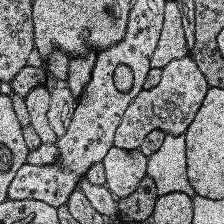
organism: Human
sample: Temporal Lobe